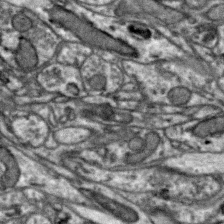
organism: Zebra finch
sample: Brain